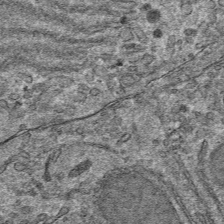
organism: Mouse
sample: Mouse hepatocytes